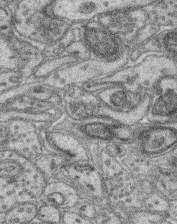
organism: Mouse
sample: Retina